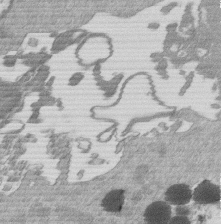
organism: Mouse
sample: Dividing mouse embryo 1 cell stage